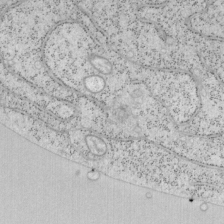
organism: Mouse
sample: OT-I killer T cells with ID8 ovarian cancer cells